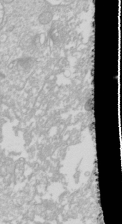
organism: Drosophila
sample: Cell division; meiosis; drosophila spermatocytes